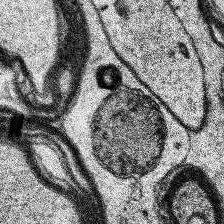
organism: Human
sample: Temporal Lobe